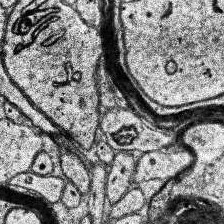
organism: Human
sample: Temporal Lobe